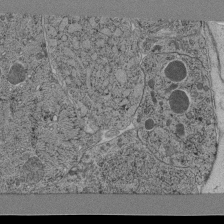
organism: C. elegans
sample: C. elegans pharynx